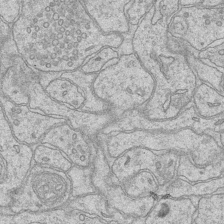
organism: Mouse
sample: CA1 Hippocampus